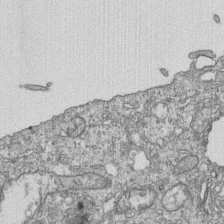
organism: Human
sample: HeLa cell HIV synapse